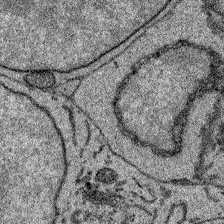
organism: Zebrafish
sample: Larval olfactory bulb